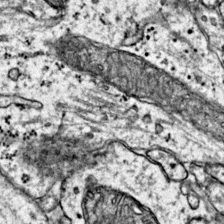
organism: Mouse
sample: Primary visual cortex